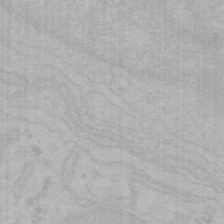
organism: Mouse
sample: Choroid plexus